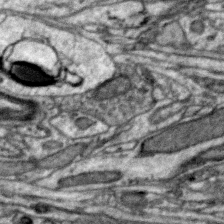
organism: Zebra finch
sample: Brain